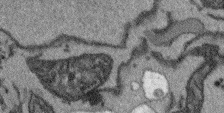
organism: Arabidopsis thaliana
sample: Root tip